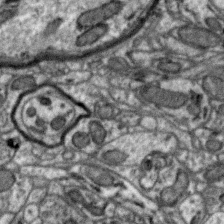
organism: Zebra finch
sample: Brain